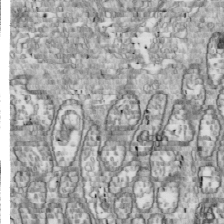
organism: Drosophila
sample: Cell division; meiosis; drosophila spermatocytes